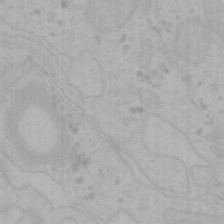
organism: Mouse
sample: Choroid plexus